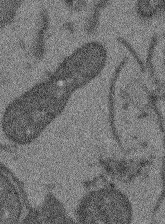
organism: Arabidopsis thaliana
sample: Root tip